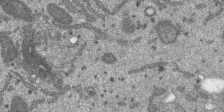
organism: Human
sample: Lung epithelial cells infected with SARS-CoV-2